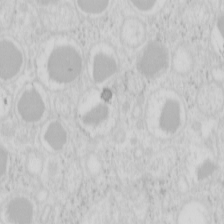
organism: Mouse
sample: Pancreas